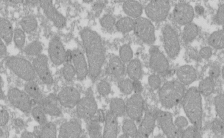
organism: Xenopus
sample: Cilia; centrioles in frog embryo cells